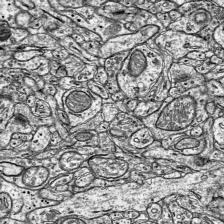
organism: Mouse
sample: Visual Cortex